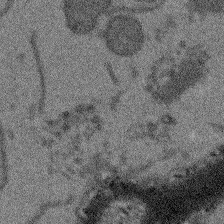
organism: Arabidopsis thaliana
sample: Root tip